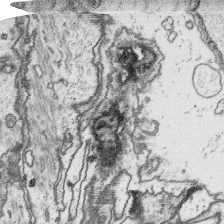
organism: Platynereis dumerilii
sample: Parapodia